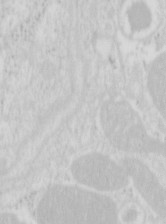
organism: Mouse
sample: Pancreas